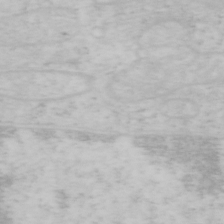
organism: Mouse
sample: OT-I killer T cells with ID8 ovarian cancer cells